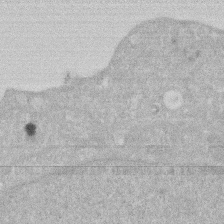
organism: Human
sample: HIV infected U937 cells